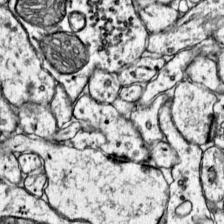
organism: Mouse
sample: Primary visual cortex